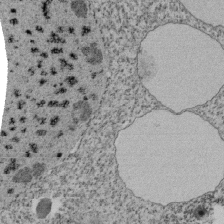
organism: Tetrahymena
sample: Cilia in tetrahymena